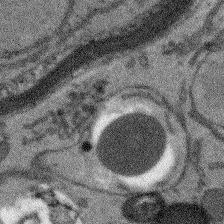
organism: Arabidopsis thaliana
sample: Root tip